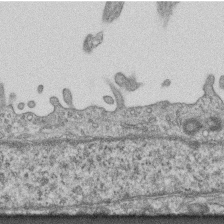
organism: Mouse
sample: Centriole in ependymal cells